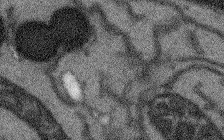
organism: Arabidopsis thaliana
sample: Root tip